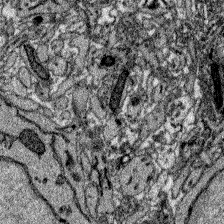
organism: Zebrafish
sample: Larval olfactory bulb